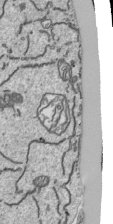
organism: Human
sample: Mitochondria in HCT116 cells